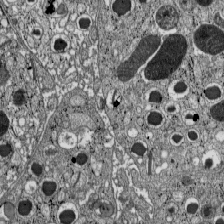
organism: C57BL Mouse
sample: Pancreatic islet